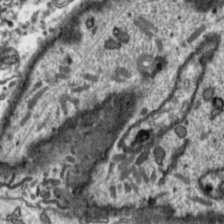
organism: Toxoplasma gondii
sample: Parasites in a vacuole inside a host cell